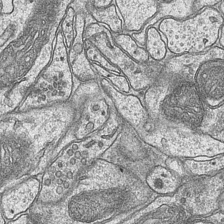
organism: Mouse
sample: CA1 Hippocampus